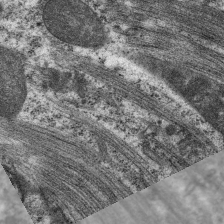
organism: C. elegans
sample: Pharynx